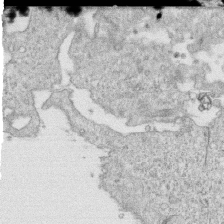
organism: Human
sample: HeLa cell HIV synapse